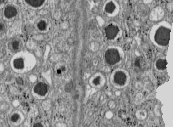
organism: C57BL Mouse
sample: Pancreatic islet